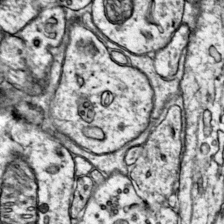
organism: Mouse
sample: Primary visual cortex